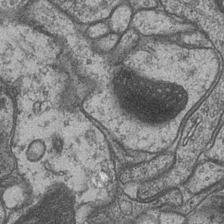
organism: Drosophila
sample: Optic medulla